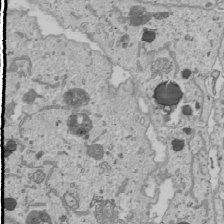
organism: Human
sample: Mitochondria in U2OS cells